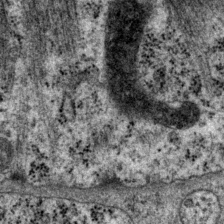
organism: P. pacificus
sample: Pharynx